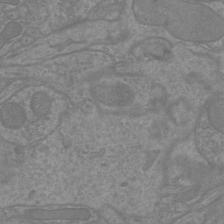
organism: Mouse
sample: Cortical neurons